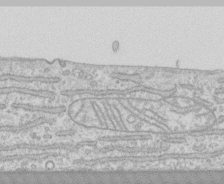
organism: Human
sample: CRL-1474